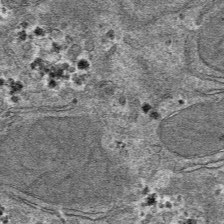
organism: Mouse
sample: Mouse hepatocytes